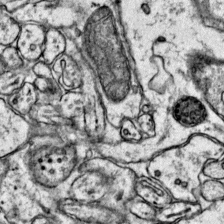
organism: Mouse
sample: Primary visual cortex